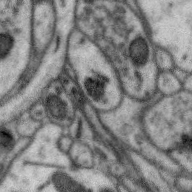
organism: Zebra finch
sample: Brain